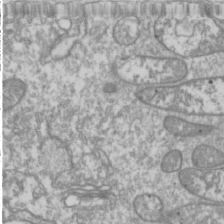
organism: Drosophila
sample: Cell division; meiosis; drosophila spermatocytes